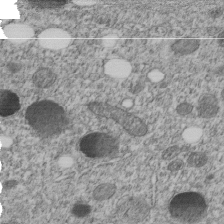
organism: C. elegans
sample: C. elegans embryo early stage